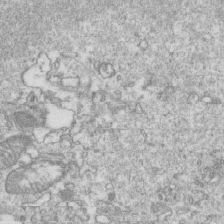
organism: Mouse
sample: Activated OT-1 CD8+ T cells